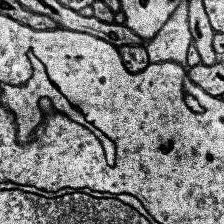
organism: Human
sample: Temporal Lobe